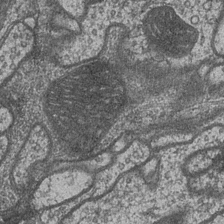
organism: Drosophila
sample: Optic medulla